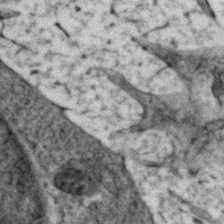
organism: Zebrafish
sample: Zebrafish embryo